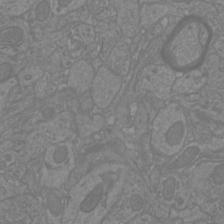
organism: Mouse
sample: Cortical neurons